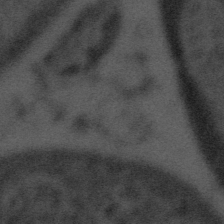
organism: Tuwongella immobilis